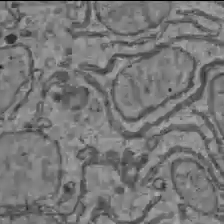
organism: C57BL Mouse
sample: Liver